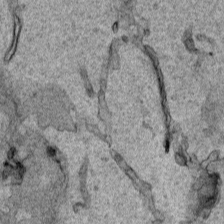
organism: Human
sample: Mitochondria in HCT116 cells